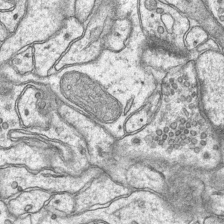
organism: Mouse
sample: CA1 Hippocampus